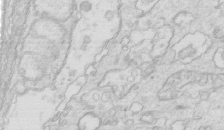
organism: Mouse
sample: Multiciliated cells